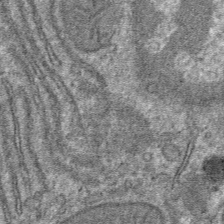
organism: Mouse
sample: Mouse hepatocytes